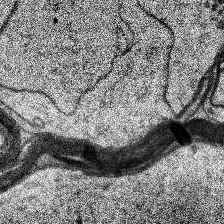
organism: Human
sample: Temporal Lobe